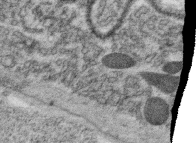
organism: C. elegans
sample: C. elegans oocyte; sperm cells